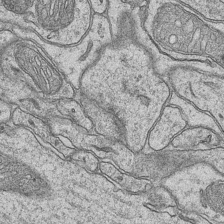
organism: Mouse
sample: CA1 Hippocampus